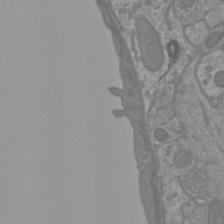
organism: Mouse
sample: Cortical neurons